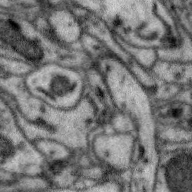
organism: Zebra finch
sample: Brain